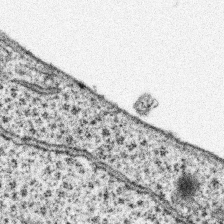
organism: Human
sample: HeLa cells